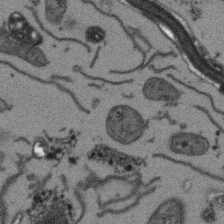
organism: Arabidopsis thaliana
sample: Root tip